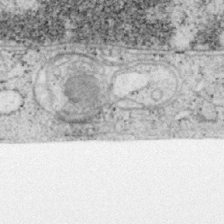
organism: Mouse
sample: OT-I killer T cells with ID8 ovarian cancer cells